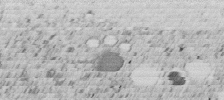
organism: C. elegans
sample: C. elegans embryo early stage